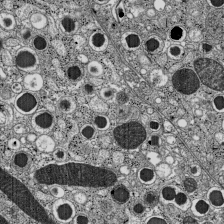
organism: C57BL Mouse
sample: Pancreatic islet